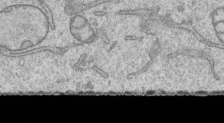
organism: Human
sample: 1205lu cells